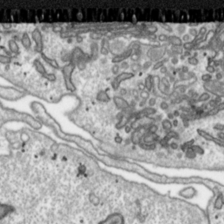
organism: Toxoplasma gondii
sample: Parasites in a vacuole inside a host cell